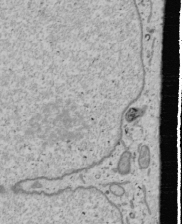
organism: Human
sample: Mitochondria in U2OS cells